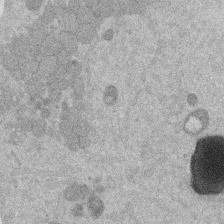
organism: Mouse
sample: Dividing mouse embryo 1 cell stage